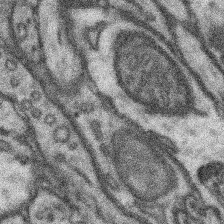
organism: Mouse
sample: Somatosensory cortex neuropil